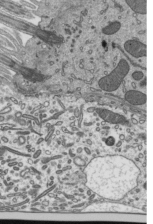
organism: Mouse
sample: Mouse epididymis efferent ductule cilia